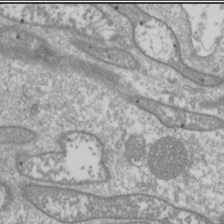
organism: Drosophila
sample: Cell division; meiosis; drosophila spermatocytes